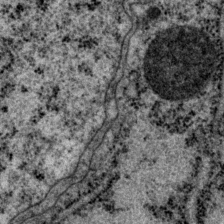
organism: P. pacificus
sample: Pharynx